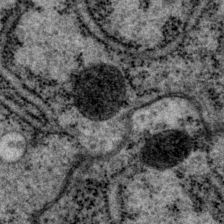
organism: P. pacificus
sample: Pharynx